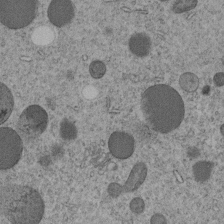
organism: C. elegans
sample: C. elegans embryo early stage